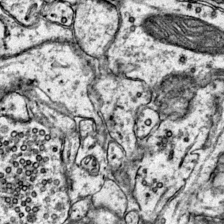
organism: Mouse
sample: Primary visual cortex